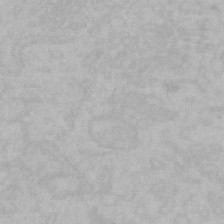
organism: Mouse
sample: Choroid plexus